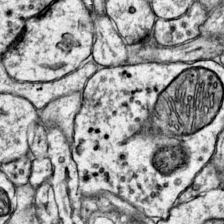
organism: Mouse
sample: Primary visual cortex